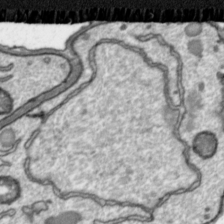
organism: Toxoplasma gondii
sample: Parasites in a vacuole inside a host cell